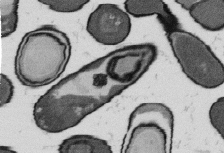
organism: B. subtilis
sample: Bacterial spore